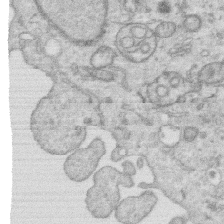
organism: Human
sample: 1205lu cells